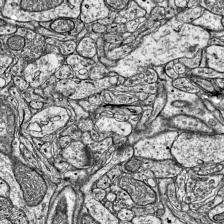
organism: Mouse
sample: Visual Cortex